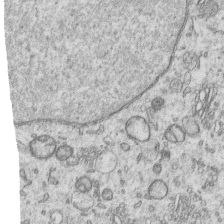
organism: Human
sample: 1205lu cells